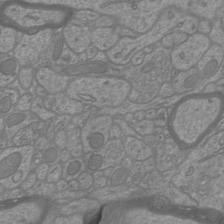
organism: Mouse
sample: Cortical neurons